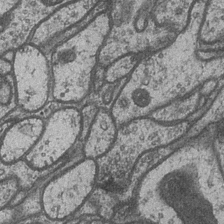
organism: Drosophila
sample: Optic medulla